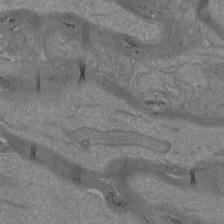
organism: Mouse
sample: Cortical neurons